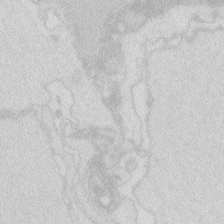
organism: Zebrafish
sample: Macrophage